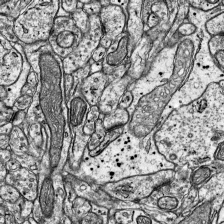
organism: Mouse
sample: Visual Cortex